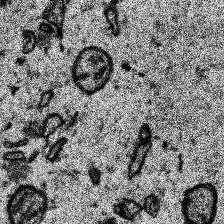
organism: Human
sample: Temporal Lobe